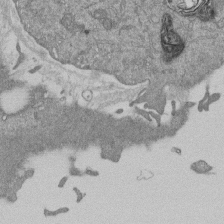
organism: Mouse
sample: ED-1 cell nuclei; centrioles